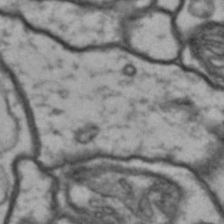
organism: Drosophila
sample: Brain